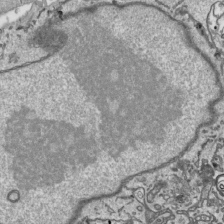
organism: Human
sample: Mitochondria in HCT116 cells